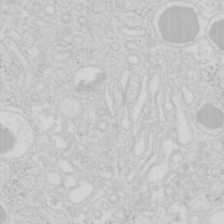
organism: Mouse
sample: Pancreas